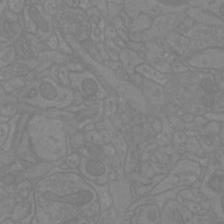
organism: Mouse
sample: Cortical neurons